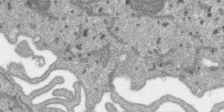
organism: Human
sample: Lung epithelial cells infected with SARS-CoV-2